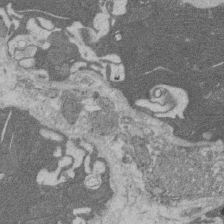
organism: Rat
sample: Salivary granule